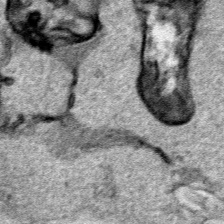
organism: Human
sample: Mitochondria in HCT116 cells